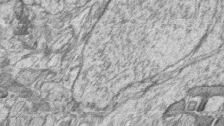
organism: Zebrafish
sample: synaptic ribbons in rod cells and cone cells